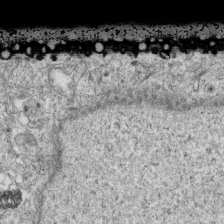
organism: Human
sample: HeLa cell HIV synapse